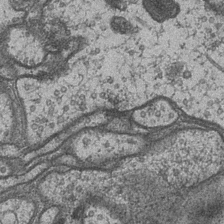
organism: Drosophila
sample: Optic medulla